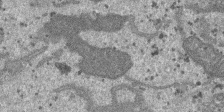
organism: Human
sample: Lung epithelial cells infected with SARS-CoV-2